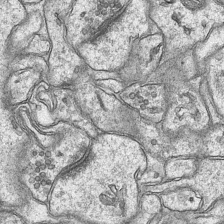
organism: Mouse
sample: CA1 Hippocampus